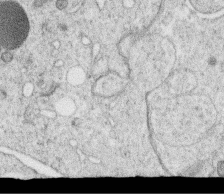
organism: C. elegans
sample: C. elegans oocyte; sperm cells